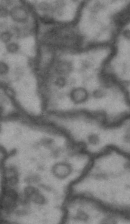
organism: Drosophila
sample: Brain